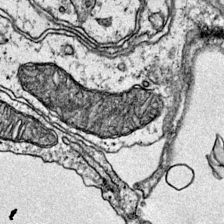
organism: Mouse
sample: Primary visual cortex